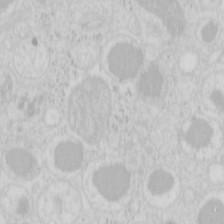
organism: Mouse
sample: Pancreas